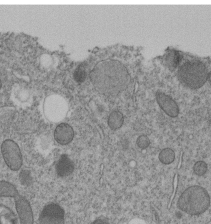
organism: C. elegans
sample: C. elegans embryo early stage